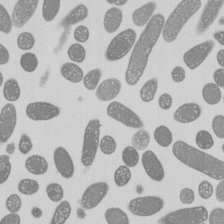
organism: E. coli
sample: Bacterial nucleoid